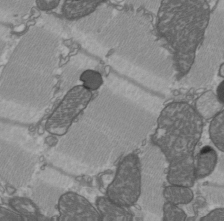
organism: C57BL Mouse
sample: Heart